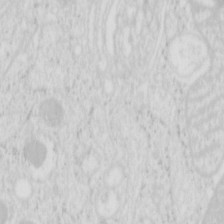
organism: Mouse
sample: Pancreas